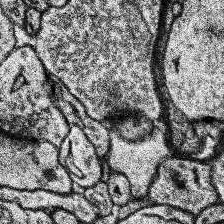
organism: Human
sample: Temporal Lobe